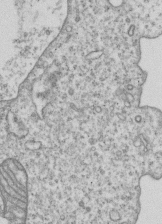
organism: Human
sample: MDA-MB-231 cells